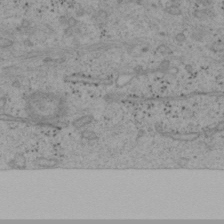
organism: Human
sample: HeLa cells